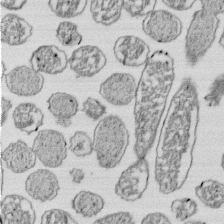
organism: E. coli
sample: Bacterial nucleoid